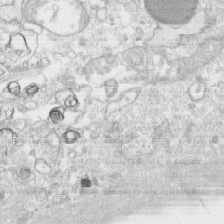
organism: Human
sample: CRL-1474